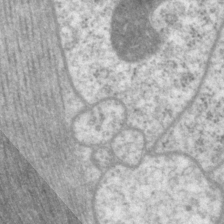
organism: P. pacificus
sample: Pharynx